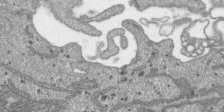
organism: Human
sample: Lung epithelial cells infected with SARS-CoV-2